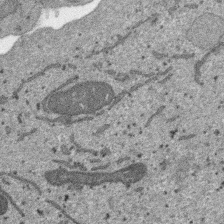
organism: Human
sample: Lung epithelial cells infected with SARS-CoV-2